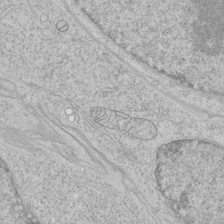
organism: Human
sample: Mitochondria in HCT116 cells